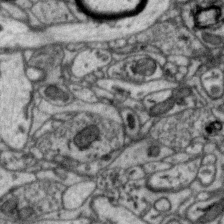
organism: Zebra finch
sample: Brain